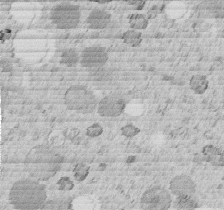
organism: C. elegans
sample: C. elegans embryo early stage